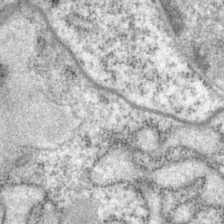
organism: P. pacificus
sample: Pharynx